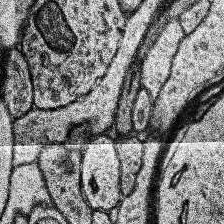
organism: Human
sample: Temporal Lobe